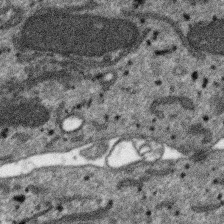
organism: Human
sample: Lung epithelial cells infected with SARS-CoV-2